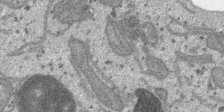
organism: Human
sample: Lung epithelial cells infected with SARS-CoV-2